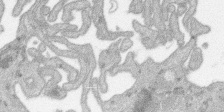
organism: Human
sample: Lung epithelial cells infected with SARS-CoV-2